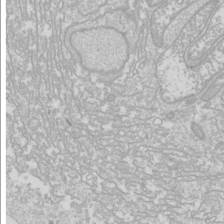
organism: Drosophila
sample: Cell division; meiosis; drosophila spermatocytes